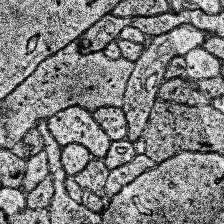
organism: Human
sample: Temporal Lobe